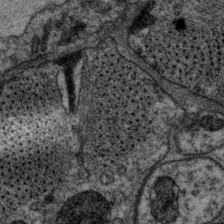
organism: P. pacificus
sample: Pharynx